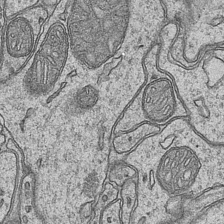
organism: Mouse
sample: CA1 Hippocampus